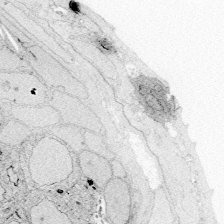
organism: Zebrafish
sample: Whole-Brain